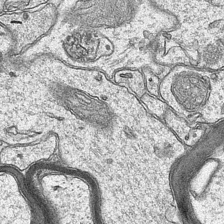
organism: Mouse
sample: CA1 Hippocampus